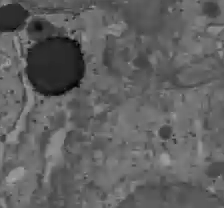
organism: C57BL Mouse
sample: Liver